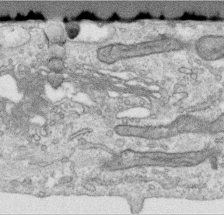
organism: Human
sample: Centriole in RPE cells